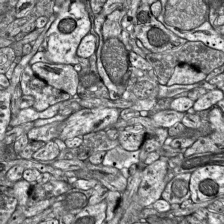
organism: Mouse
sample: Visual Cortex